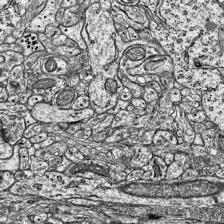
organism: Mouse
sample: Visual Cortex